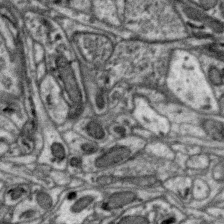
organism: Zebra finch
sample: Brain